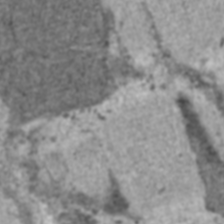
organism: C57BL Mouse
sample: Heart